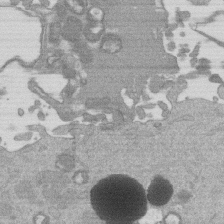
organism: Mouse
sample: Dividing mouse embryo 1 cell stage